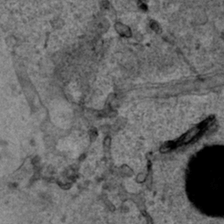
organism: Human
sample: Mitochondria in HCT116 cells